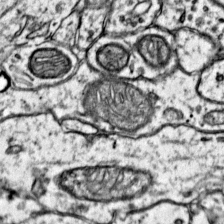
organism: Mouse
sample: Primary visual cortex